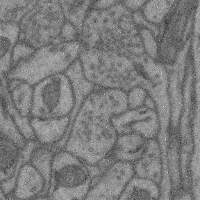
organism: Mouse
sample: Cerebral cortex